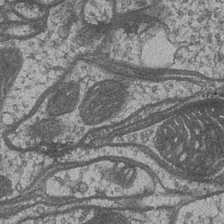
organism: Drosophila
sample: Optic medulla